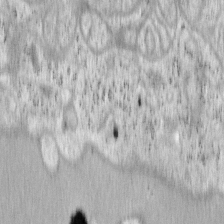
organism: Human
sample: HeLa cells